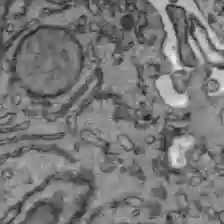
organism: C57BL Mouse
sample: Liver